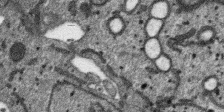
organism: Human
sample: Lung epithelial cells infected with SARS-CoV-2